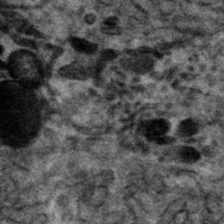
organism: Mouse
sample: Mouse hepatocytes